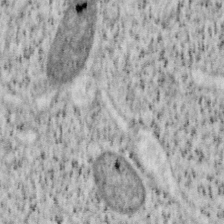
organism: Mouse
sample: OT-I killer T cells with ID8 ovarian cancer cells